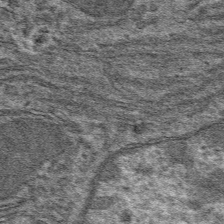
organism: Mouse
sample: Mouse hepatocytes